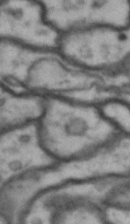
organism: Drosophila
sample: Brain